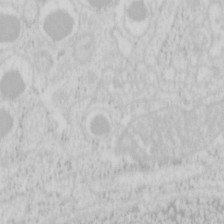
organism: Mouse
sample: Pancreas